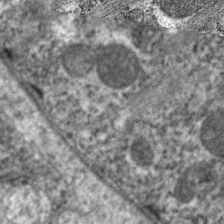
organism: C. elegans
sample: Pharynx